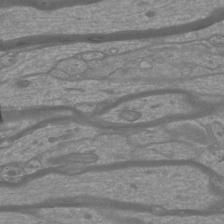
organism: Mouse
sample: Cortical neurons